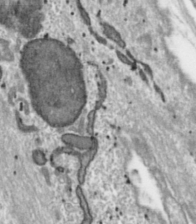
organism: Toxoplasma gondii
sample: Parasites in a vacuole inside a host cell